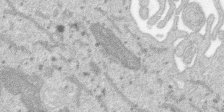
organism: Human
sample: Lung epithelial cells infected with SARS-CoV-2